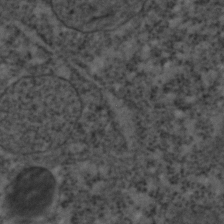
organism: C. elegans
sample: C. elegans embryo